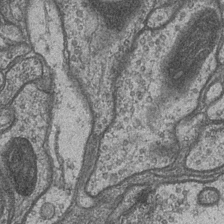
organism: Drosophila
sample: Optic medulla